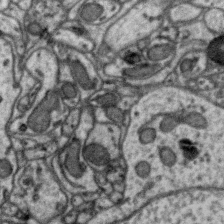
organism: Zebra finch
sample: Brain